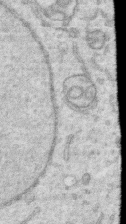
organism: Human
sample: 1205lu cells